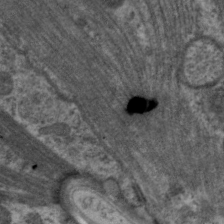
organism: C. elegans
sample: Pharynx